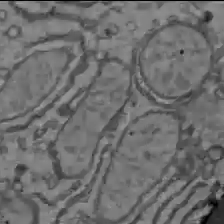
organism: C57BL Mouse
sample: Liver